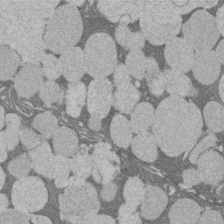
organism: Rat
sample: Salivary granule